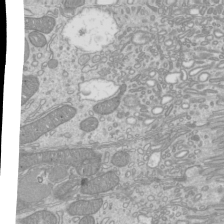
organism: Mouse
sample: Cilia; mouse epididymis